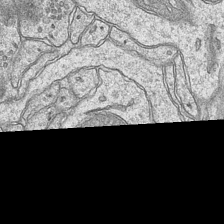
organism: Mouse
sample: CA1 Hippocampus